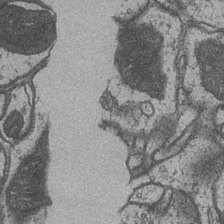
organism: Drosophila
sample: Optic medulla